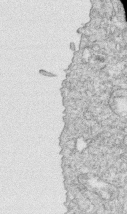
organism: Human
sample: HeLa cell HIV synapse